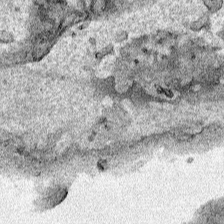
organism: Human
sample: Mitochondria in HCT116 cells